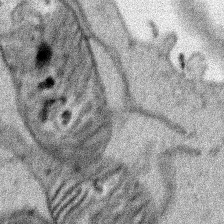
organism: Human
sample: Mitochondria in HCT116 cells